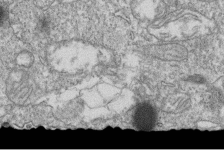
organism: Human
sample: HeLa cell HIV synapse